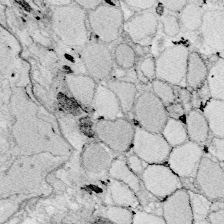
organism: Zebrafish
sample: Whole-Brain